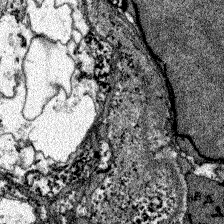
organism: Zebrafish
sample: Larval olfactory bulb